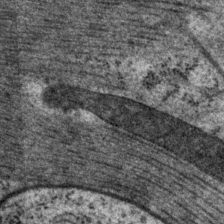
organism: P. pacificus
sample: Pharynx